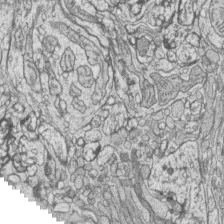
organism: Zebrafish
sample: synaptic ribbons in rod cells and cone cells